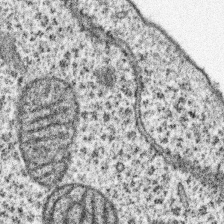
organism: Human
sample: HeLa cells